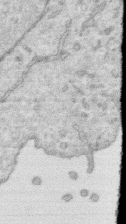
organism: Human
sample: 1205lu cells